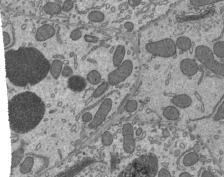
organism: Mouse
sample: Mouse epididymis efferent ductule cilia